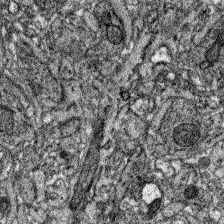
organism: Zebrafish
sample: Larval olfactory bulb